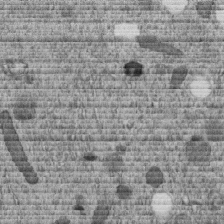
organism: C. elegans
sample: C. elegans embryo early stage